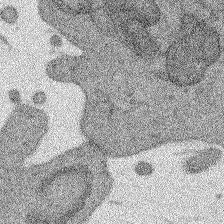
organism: Human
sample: HeLa cells